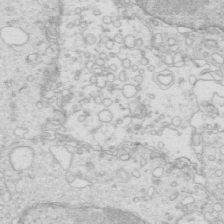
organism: Mouse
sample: Multiciliated cells